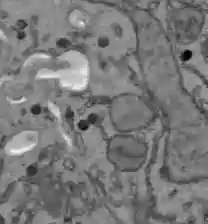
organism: C57BL Mouse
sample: Liver